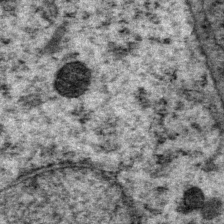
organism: P. pacificus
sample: Pharynx